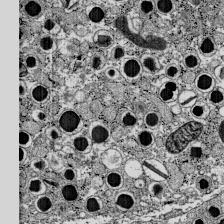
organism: C57BL Mouse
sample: Pancreatic islet